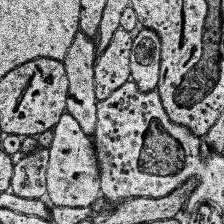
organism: Human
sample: Temporal Lobe